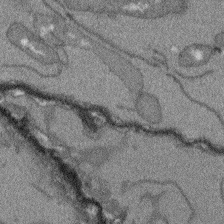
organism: Arabidopsis thaliana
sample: Root tip